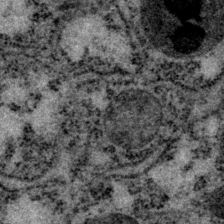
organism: P. pacificus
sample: Pharynx